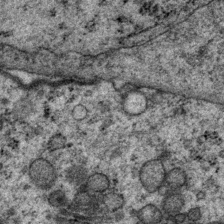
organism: P. pacificus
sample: Pharynx